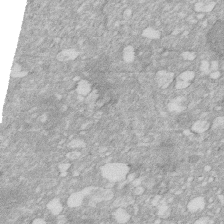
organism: Human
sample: HIV infected U937 cells